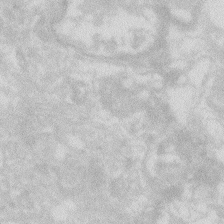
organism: Zebrafish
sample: Macrophage